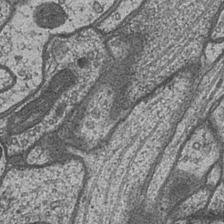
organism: Drosophila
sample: Optic medulla